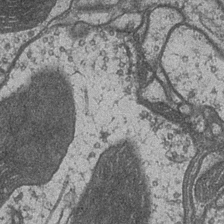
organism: Drosophila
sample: Optic medulla